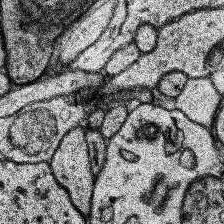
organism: Human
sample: Temporal Lobe